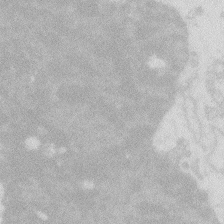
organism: Zebrafish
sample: Macrophage